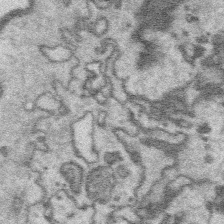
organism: Platynereis dumerilii